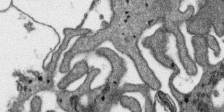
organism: Human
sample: Lung epithelial cells, uninfected (mock) control